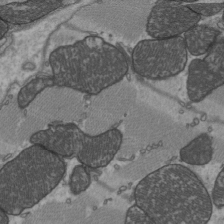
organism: C57BL Mouse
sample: Heart